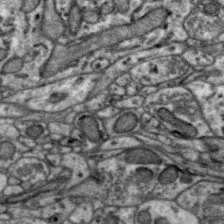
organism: Zebra finch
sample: Brain